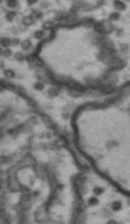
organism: Drosophila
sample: Brain